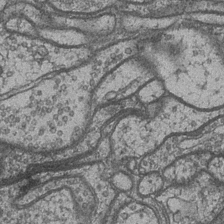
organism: Drosophila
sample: Optic medulla